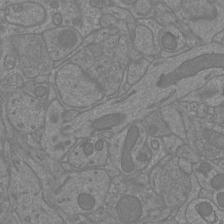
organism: Mouse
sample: Cortical neurons